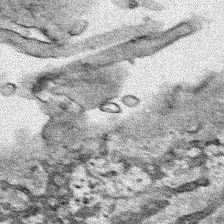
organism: Human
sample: Mitochondria in HCT116 cells